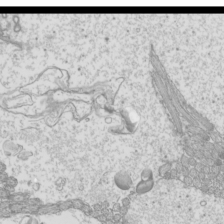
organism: Mouse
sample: Cilia; mouse epididymis